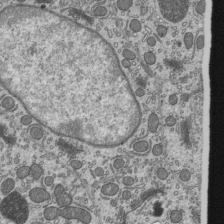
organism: Mouse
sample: Mouse epididymis efferent ductule cilia